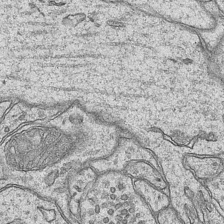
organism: Mouse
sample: CA1 Hippocampus